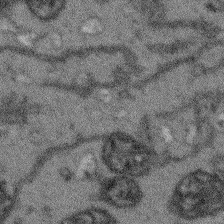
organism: Arabidopsis thaliana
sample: Root tip